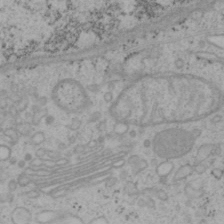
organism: Human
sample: HeLa cells